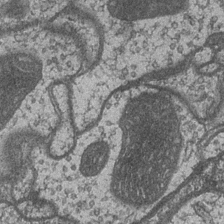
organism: Drosophila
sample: Optic medulla